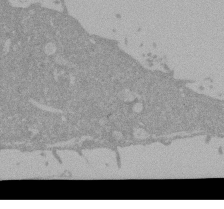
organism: Mouse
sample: ED-1 cell nuclei; centrioles